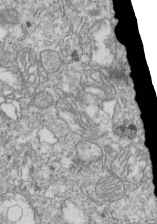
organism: Human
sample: HeLa cell HIV synapse